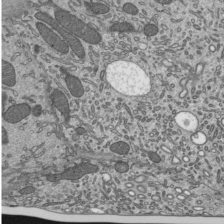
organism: Mouse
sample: Mouse epididymis efferent ductule cilia